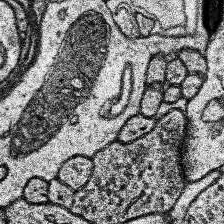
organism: Human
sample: Temporal Lobe